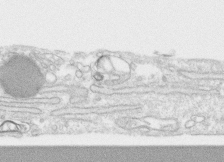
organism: Human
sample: CRL-1474